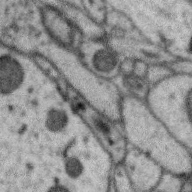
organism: Zebra finch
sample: Brain